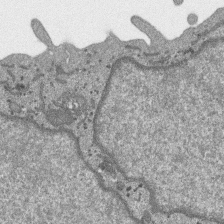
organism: Human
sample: Lung epithelial cells infected with SARS-CoV-2